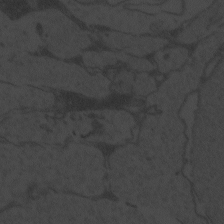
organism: Zebrafish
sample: Macrophage infected with Toxoplasma gondii